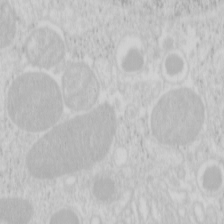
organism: Mouse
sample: Pancreas